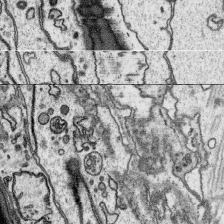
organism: Platynereis dumerilii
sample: Parapodia